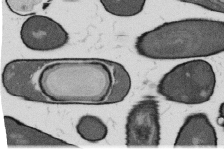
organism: B. subtilis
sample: Bacterial spore